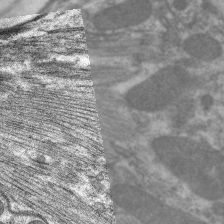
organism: C. elegans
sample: Pharynx